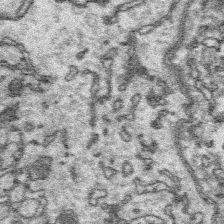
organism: Platynereis dumerilii